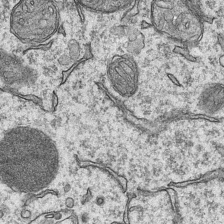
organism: Mouse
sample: CA1 Hippocampus